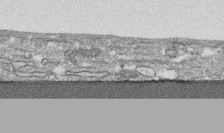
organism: Human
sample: CRL-1474